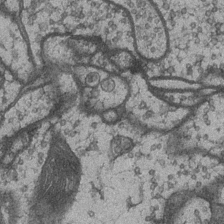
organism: Drosophila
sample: Optic medulla